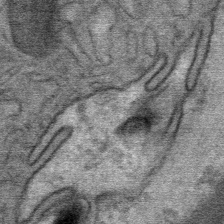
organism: Mouse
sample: Mouse Salivary gland